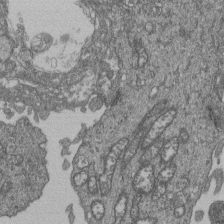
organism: Human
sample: Retinal organoid Rod and Cone cells